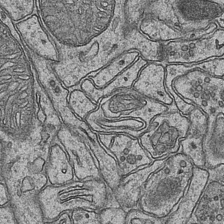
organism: Mouse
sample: CA1 Hippocampus